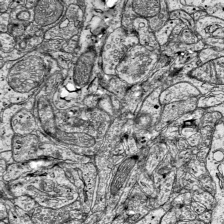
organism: Mouse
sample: Visual Cortex